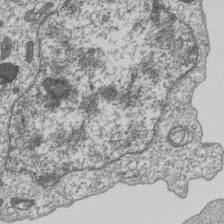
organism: Human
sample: MDA-MB-231 cells